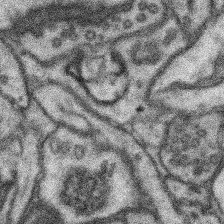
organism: Mouse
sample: Somatosensory cortex neuropil